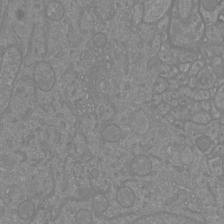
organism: Mouse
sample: Cortical neurons